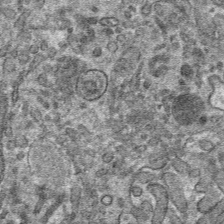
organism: Mouse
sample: Mouse hepatocytes